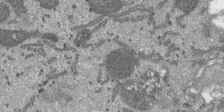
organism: Human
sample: Lung epithelial cells infected with SARS-CoV-2